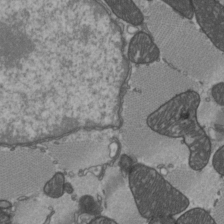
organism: C57BL Mouse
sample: Heart